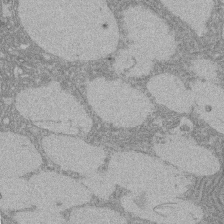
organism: Rat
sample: Salivary granule